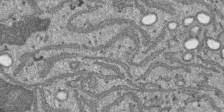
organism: Human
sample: Lung epithelial cells infected with SARS-CoV-2